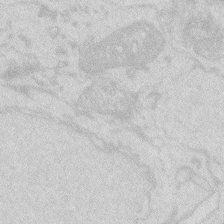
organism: Zebrafish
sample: Macrophage